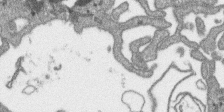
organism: Human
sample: Lung epithelial cells infected with SARS-CoV-2